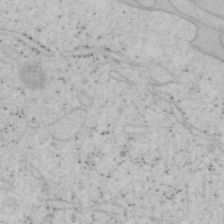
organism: Human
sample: HeLa cells